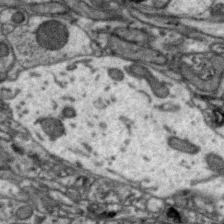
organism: Zebra finch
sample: Brain